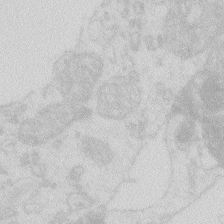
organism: Zebrafish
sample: Macrophage